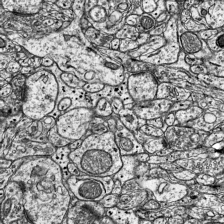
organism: Mouse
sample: Visual Cortex